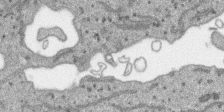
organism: Human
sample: Lung epithelial cells infected with SARS-CoV-2